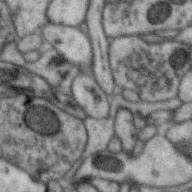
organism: Zebra finch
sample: Brain